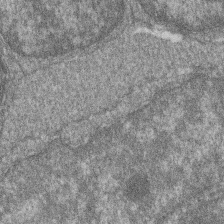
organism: Zebrafish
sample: Cilia; retinal pigment epithelium